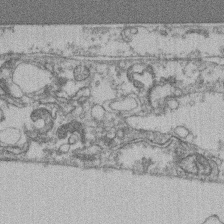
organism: Mouse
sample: T cell stromal cell synapse